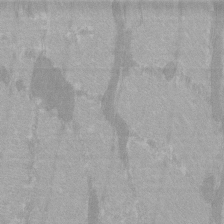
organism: C57BL Mouse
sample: Tibialis anterior muscle cell